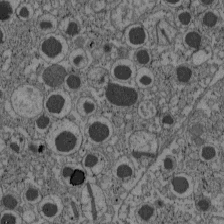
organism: C57BL Mouse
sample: Pancreatic islet